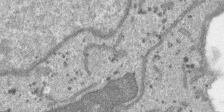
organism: Human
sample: Lung epithelial cells infected with SARS-CoV-2